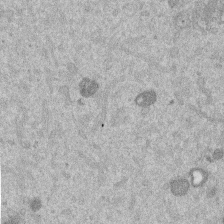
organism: Mouse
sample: Dividing mouse embryo 1 cell stage